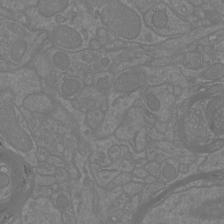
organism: Mouse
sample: Cortical neurons